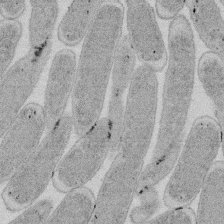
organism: E. coli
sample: Bacterial nucleoid